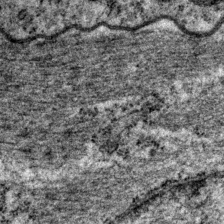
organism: P. pacificus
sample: Pharynx